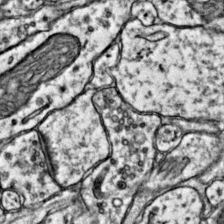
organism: Mouse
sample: Primary visual cortex